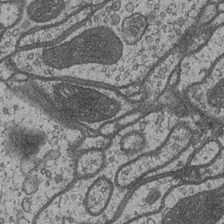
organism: Drosophila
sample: Optic medulla